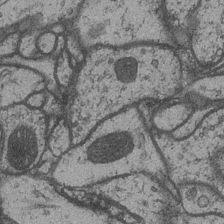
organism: Drosophila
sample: Optic medulla